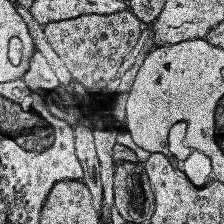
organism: Human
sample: Temporal Lobe